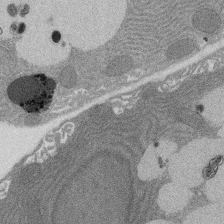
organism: Rat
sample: Salivary granule